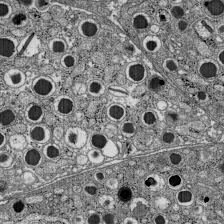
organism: C57BL Mouse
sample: Pancreatic islet